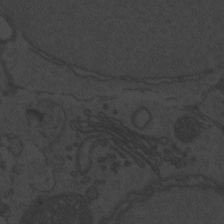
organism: Zebrafish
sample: Macrophage infected with Toxoplasma gondii